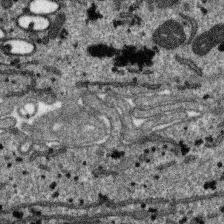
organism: Human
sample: Lung epithelial cells infected with SARS-CoV-2